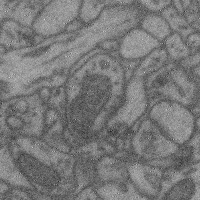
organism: Mouse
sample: Cerebral cortex